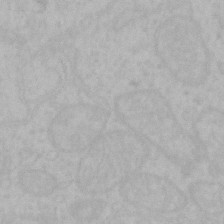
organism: Mouse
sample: Choroid plexus